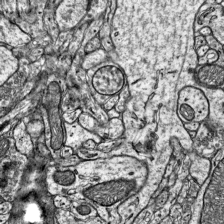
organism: Mouse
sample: Visual Cortex